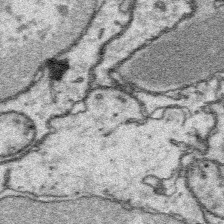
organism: Platynereis dumerilii